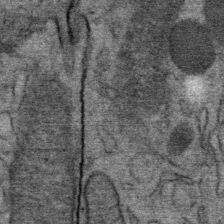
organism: Mouse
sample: Mouse Salivary gland